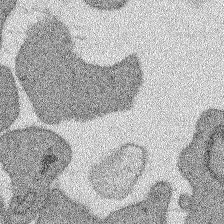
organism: Human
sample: HeLa cells